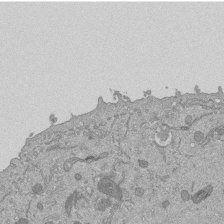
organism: Mouse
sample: ED-1 cell nuclei; centrioles